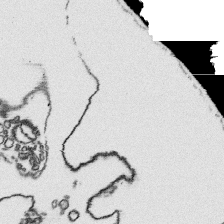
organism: Platynereis dumerilii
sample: Parapodia